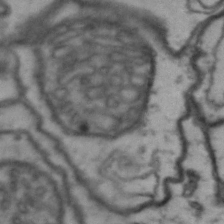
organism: Drosophila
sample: Brain